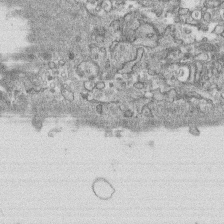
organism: Human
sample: CRL-1474